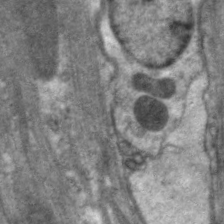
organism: C. elegans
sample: Pharynx